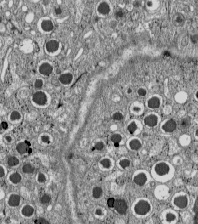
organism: C57BL Mouse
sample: Pancreatic islet